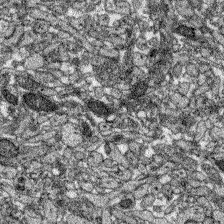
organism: Zebrafish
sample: Larval olfactory bulb